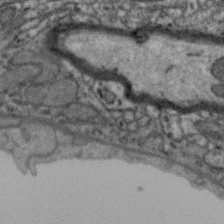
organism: Zebra finch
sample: Brain